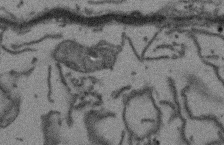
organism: Arabidopsis thaliana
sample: Root tip